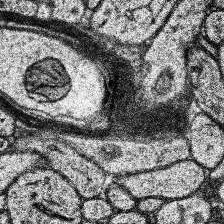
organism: Human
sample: Temporal Lobe